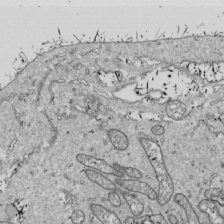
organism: Drosophila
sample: Cell division; meiosis; drosophila spermatocytes